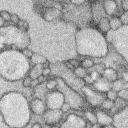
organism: Rabbit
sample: Retina